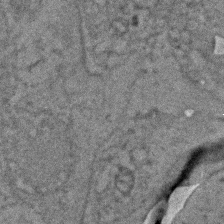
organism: Zebrafish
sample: Zebrafish embryo